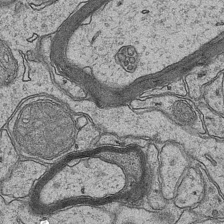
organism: Mouse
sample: CA1 Hippocampus